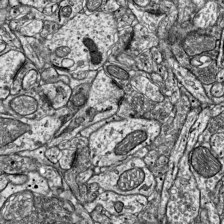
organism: Mouse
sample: Visual Cortex